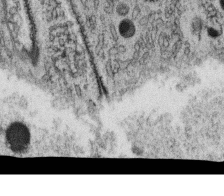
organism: C. elegans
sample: C. elegans oocyte; sperm cells